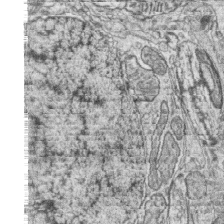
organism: Zebrafish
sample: synaptic ribbons in rod cells and cone cells